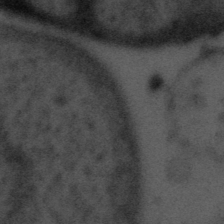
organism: Tuwongella immobilis